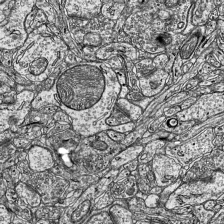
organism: Mouse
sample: Visual Cortex